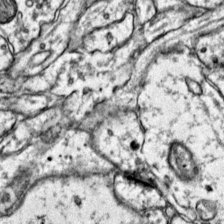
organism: Mouse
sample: Primary visual cortex